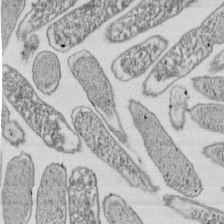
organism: E. coli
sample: Bacterial nucleoid